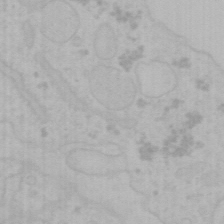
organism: Mouse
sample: Choroid plexus